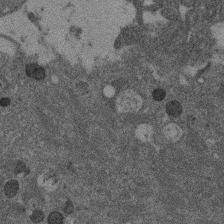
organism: Mouse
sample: Dividing mouse embryo 1 cell stage